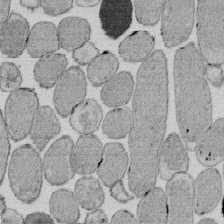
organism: E. coli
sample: Bacterial nucleoid